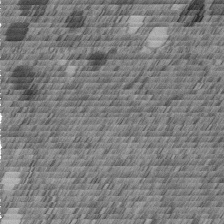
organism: C. elegans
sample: C. elegans embryo early stage